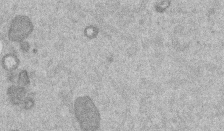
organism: Mouse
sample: Dividing mouse embryo 1 cell stage